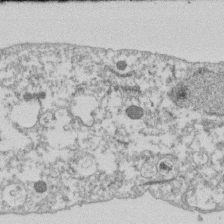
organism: Dictyostelium discoideum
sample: Dictyostelium multivesicular bodies